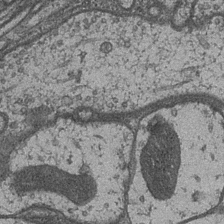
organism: Drosophila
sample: Optic medulla